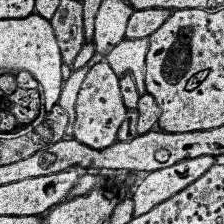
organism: Human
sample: Temporal Lobe